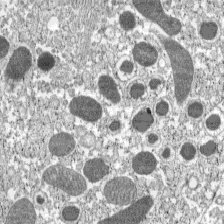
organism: C57BL Mouse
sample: Pancreatic islet